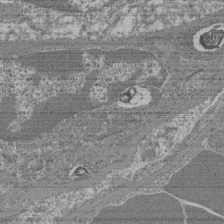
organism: Mouse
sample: Glomerulus